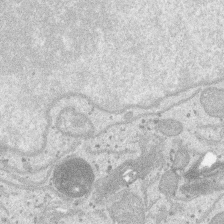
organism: Human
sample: Lung epithelial cells infected with SARS-CoV-2